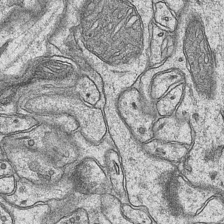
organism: Mouse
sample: CA1 Hippocampus